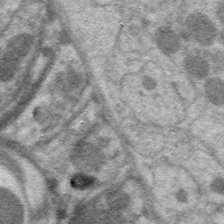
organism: C. elegans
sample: Pharynx